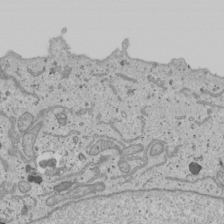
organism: Human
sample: Mitochondria in U2OS cells